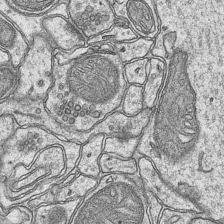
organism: Mouse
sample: CA1 Hippocampus